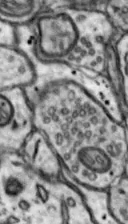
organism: Mouse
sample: Nucleus accumbens